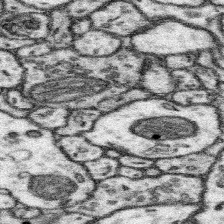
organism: Mouse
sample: Somatosensory cortex neuropil